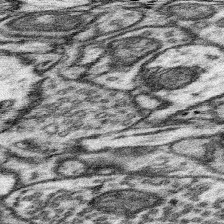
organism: Mouse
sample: Somatosensory cortex neuropil